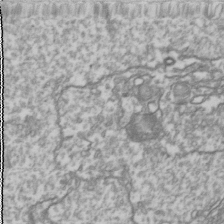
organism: Drosophila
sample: Cell division; meiosis; drosophila spermatocytes